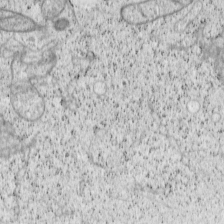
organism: African green monkey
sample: COS-7 cells